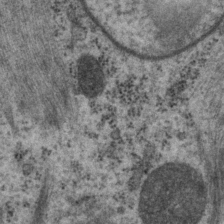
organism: P. pacificus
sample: Pharynx